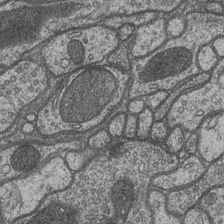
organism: Drosophila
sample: Optic medulla